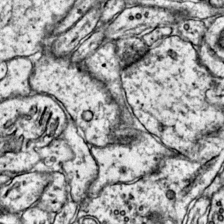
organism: Mouse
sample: Primary visual cortex